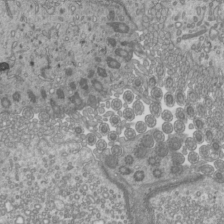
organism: Mouse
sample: Cilia; mouse epididymis